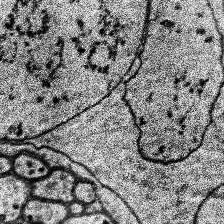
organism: Human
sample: Temporal Lobe